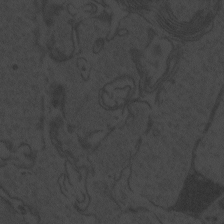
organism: Zebrafish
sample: Macrophage infected with Toxoplasma gondii